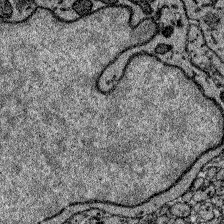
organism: Zebrafish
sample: Larval olfactory bulb